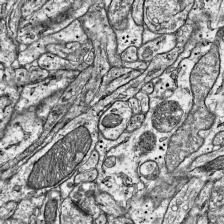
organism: Mouse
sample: Visual Cortex